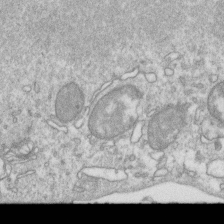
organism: Mouse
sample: Activated OT-1 CD8+ T cells